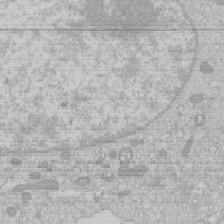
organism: Human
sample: Macrophage cells